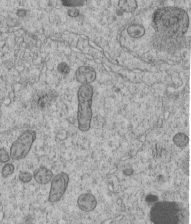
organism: C. elegans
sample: C. elegans embryo early stage